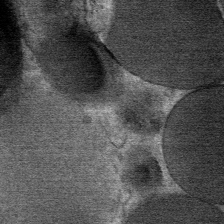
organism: Mouse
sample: Mouse Salivary gland